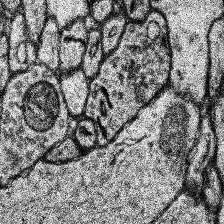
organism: Human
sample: Temporal Lobe